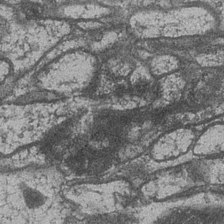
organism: Drosophila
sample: Optic medulla